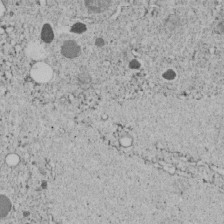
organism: C. elegans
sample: C. elegans embryo early stage